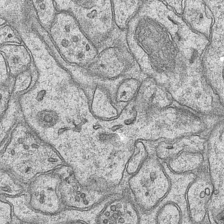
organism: Mouse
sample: CA1 Hippocampus